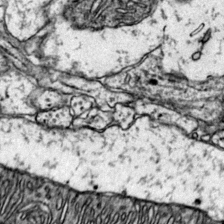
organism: Mouse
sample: Primary visual cortex